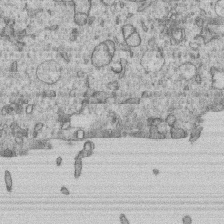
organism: Human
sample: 1205lu cells